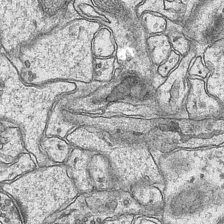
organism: Mouse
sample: CA1 Hippocampus